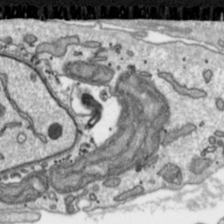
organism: Toxoplasma gondii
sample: Parasites in a vacuole inside a host cell